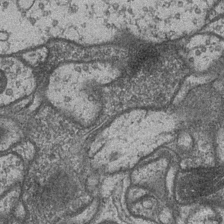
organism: Drosophila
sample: Optic medulla